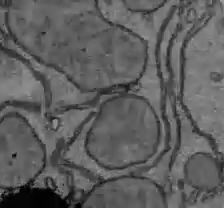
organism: C57BL Mouse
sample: Liver